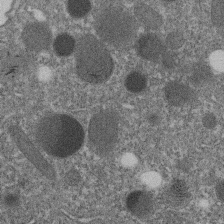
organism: C. elegans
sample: C. elegans embryo early stage